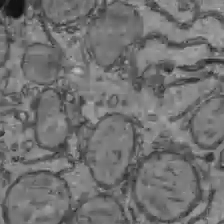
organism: C57BL Mouse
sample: Liver